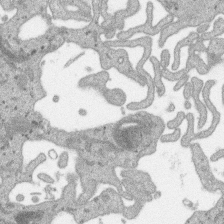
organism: Human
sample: Lung epithelial cells infected with SARS-CoV-2